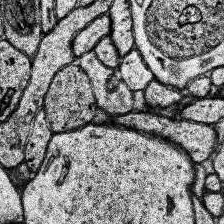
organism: Human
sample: Temporal Lobe